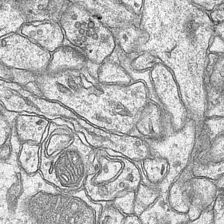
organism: Mouse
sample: CA1 Hippocampus